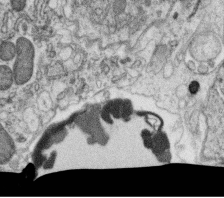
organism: C. elegans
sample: C. elegans oocyte; sperm cells